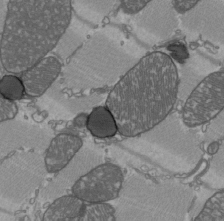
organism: C57BL Mouse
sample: Heart